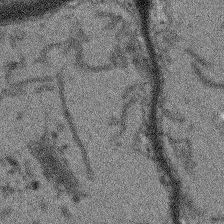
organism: Arabidopsis thaliana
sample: Root tip